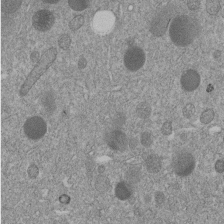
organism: C. elegans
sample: C. elegans embryo early stage